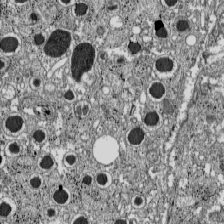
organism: C57BL Mouse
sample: Pancreatic islet